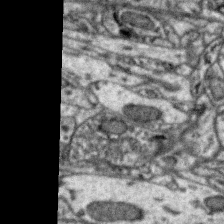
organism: Zebra finch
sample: Brain